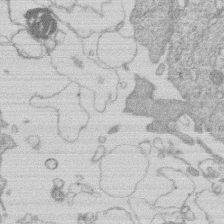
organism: Human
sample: Macrophage cells